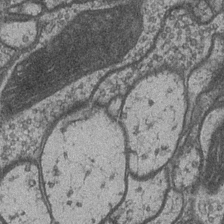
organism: Drosophila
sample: Optic medulla